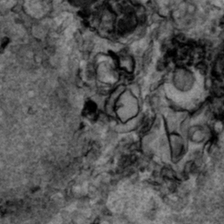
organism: Human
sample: Mitochondria in HCT116 cells